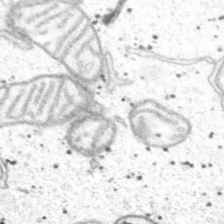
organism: Human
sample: HeLa cells